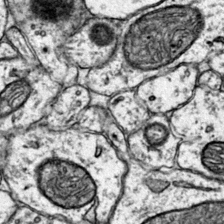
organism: Mouse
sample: Primary visual cortex